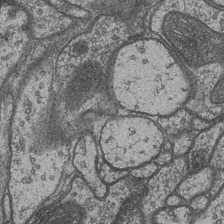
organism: Drosophila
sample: Optic medulla